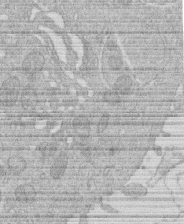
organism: Human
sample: Macrophage cells